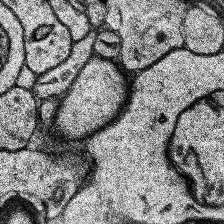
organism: Human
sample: Temporal Lobe